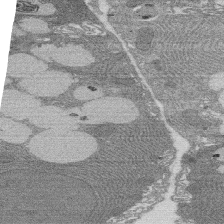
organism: Rat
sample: Salivary granule